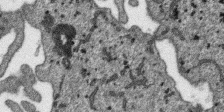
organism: Human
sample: Lung epithelial cells infected with SARS-CoV-2